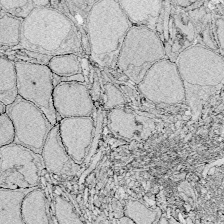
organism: Zebrafish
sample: Whole-Brain